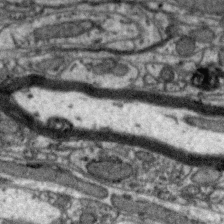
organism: Zebra finch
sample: Brain